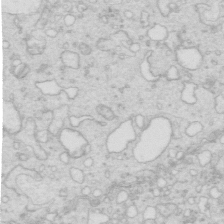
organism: Mouse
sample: Multiciliated cells